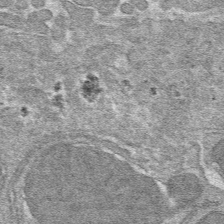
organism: Mouse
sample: Mouse hepatocytes